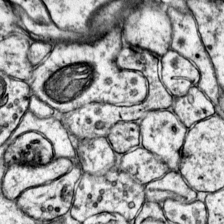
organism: Mouse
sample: Primary visual cortex